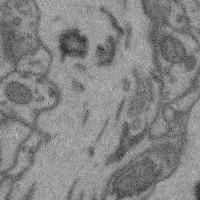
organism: Mouse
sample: Cerebral cortex